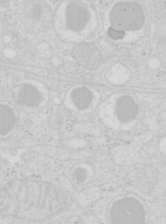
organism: Mouse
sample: Pancreas